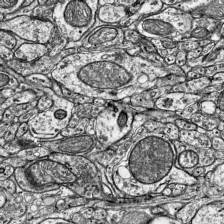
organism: Mouse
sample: Visual Cortex